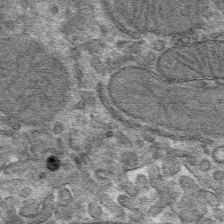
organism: Mouse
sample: Mouse hepatocytes